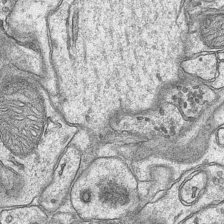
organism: Mouse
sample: CA1 Hippocampus